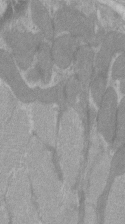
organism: C57BL Mouse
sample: Tibialis anterior muscle cell